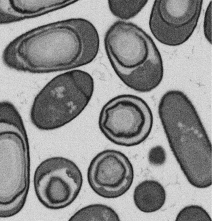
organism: B. subtilis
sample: Bacterial spore